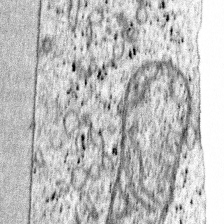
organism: Human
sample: HeLa cells